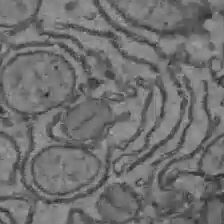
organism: C57BL Mouse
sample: Liver